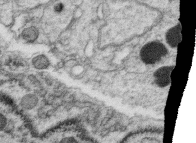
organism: C. elegans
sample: C. elegans oocyte; sperm cells